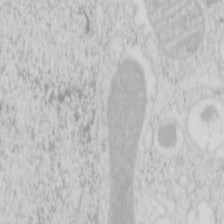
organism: Mouse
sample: Pancreas